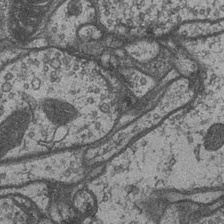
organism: Drosophila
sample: Optic medulla